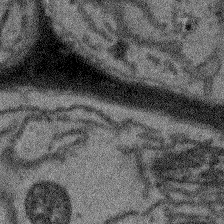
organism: Arabidopsis thaliana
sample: Root tip